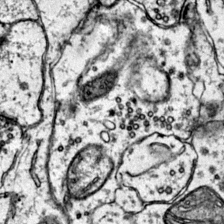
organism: Mouse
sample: Primary visual cortex